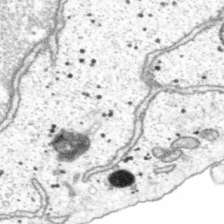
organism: Human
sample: HeLa cells